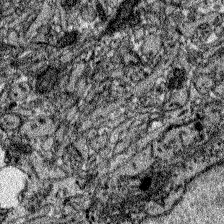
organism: Zebrafish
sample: Larval olfactory bulb